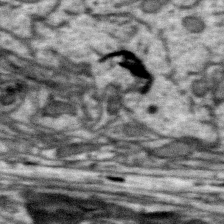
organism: Zebra finch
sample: Brain